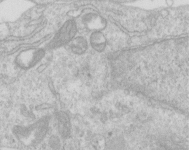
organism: Human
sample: Centriole in RPE cells